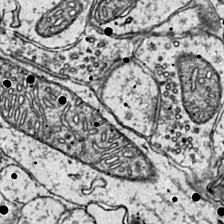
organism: Mouse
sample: Primary visual cortex